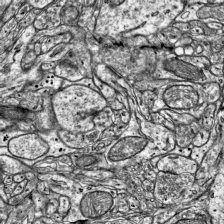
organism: Mouse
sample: Visual Cortex